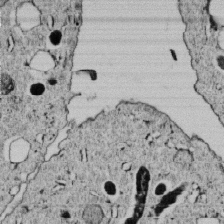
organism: C. elegans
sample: C. elegans embryo early stage